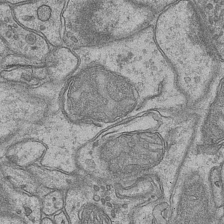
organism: Mouse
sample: CA1 Hippocampus